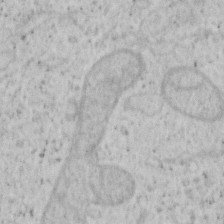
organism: Human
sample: HeLa cells